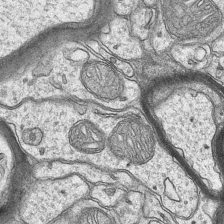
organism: Mouse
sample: CA1 Hippocampus